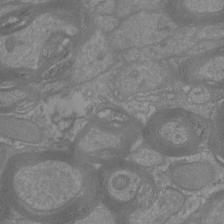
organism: Mouse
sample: Cortical neurons